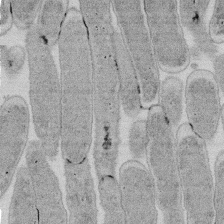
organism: E. coli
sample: Bacterial nucleoid